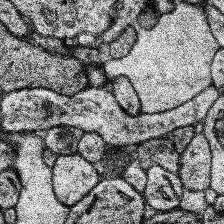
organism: Human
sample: Temporal Lobe